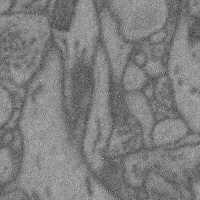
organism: Mouse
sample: Cerebral cortex